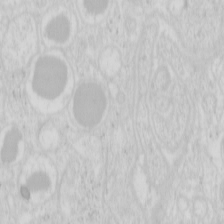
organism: Mouse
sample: Pancreas